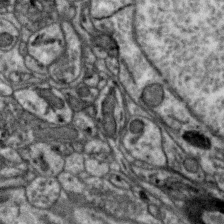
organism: Zebra finch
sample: Brain